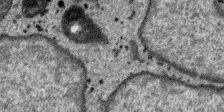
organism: Human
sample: Lung epithelial cells, uninfected (mock) control